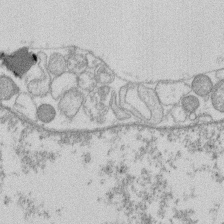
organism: Human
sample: Macrophage cells